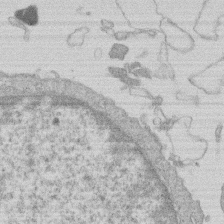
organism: Human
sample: Macrophage cells